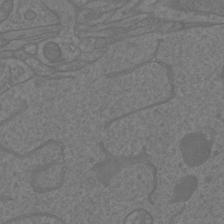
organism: Mouse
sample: Cortical neurons